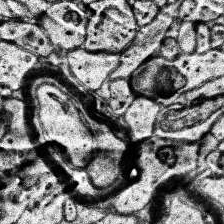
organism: Human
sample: Temporal Lobe